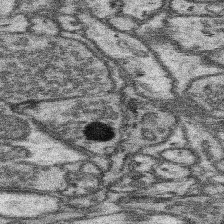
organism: Mouse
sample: Somatosensory cortex neuropil